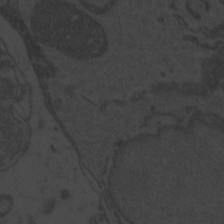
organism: Zebrafish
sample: Macrophage infected with Toxoplasma gondii